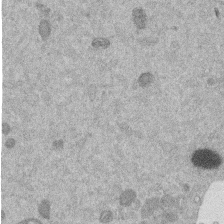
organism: Mouse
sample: Dividing mouse embryo 1 cell stage